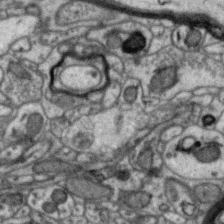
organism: Zebra finch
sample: Brain